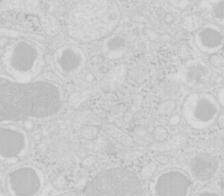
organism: Mouse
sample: Pancreas